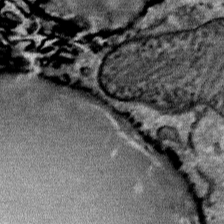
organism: Mouse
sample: Mouse Salivary gland